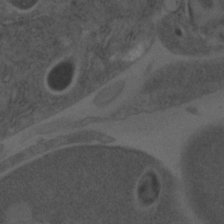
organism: C. elegans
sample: C. elegans embryo